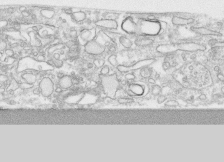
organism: Human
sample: CRL-1474